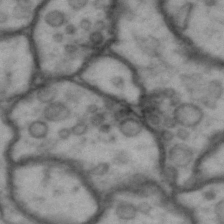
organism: Drosophila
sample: Brain